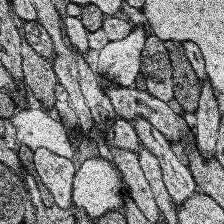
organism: Human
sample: Temporal Lobe